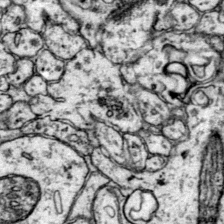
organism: Mouse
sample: Primary visual cortex